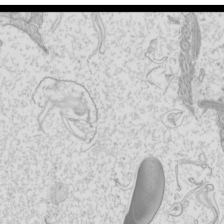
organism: Mouse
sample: Cilia; mouse epididymis